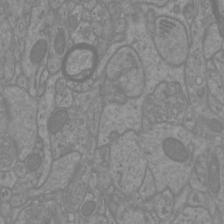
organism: Mouse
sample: Cortical neurons